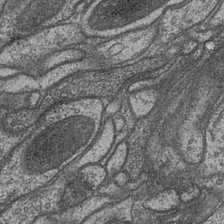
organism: Drosophila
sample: Optic medulla